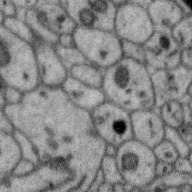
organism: Zebra finch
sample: Brain